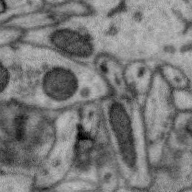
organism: Zebra finch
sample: Brain